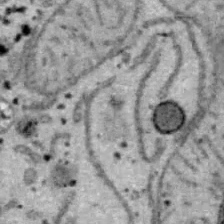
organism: Mouse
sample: Liver from an obese (ob/ob) mouse